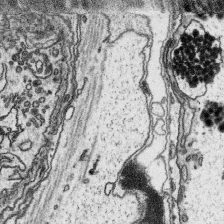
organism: Platynereis dumerilii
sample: Parapodia